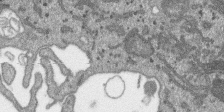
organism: Human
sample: Lung epithelial cells infected with SARS-CoV-2